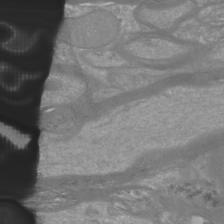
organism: Mouse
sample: Cortical neurons